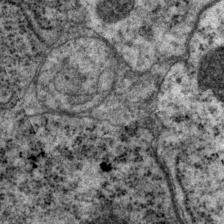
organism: P. pacificus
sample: Pharynx